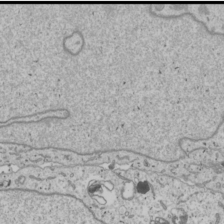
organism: Human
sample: Mitochondria in U2OS cells